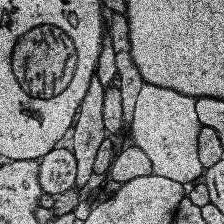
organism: Human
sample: Temporal Lobe